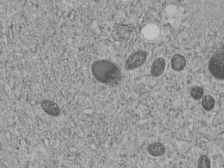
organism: C. elegans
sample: C. elegans embryo early stage